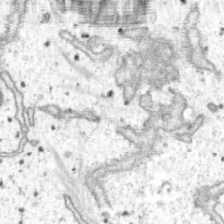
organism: Human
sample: HeLa cells